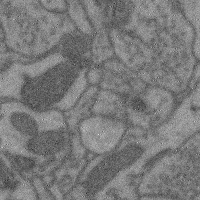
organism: Mouse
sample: Cerebral cortex